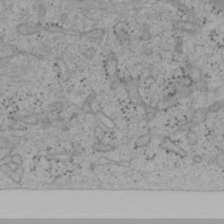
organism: Human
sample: HeLa cells